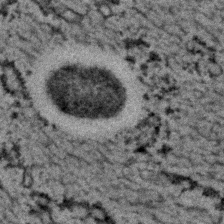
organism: C. elegans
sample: C. elegans embryo